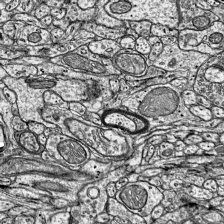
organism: Mouse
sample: Visual Cortex